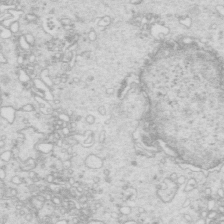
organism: Mouse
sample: Multiciliated cells